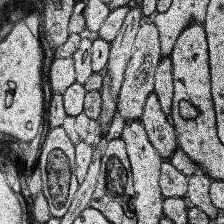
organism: Human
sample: Temporal Lobe